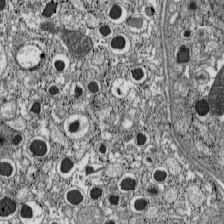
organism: C57BL Mouse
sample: Pancreatic islet